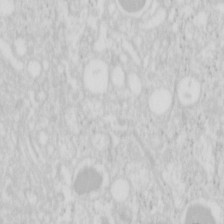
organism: Mouse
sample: Pancreas